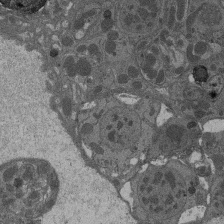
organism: Drosophila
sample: Antenna